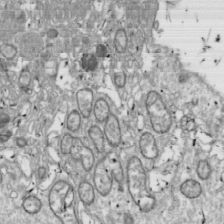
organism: Drosophila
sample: Cell division; meiosis; drosophila spermatocytes